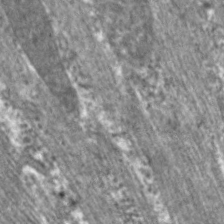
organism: C. elegans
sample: Pharynx